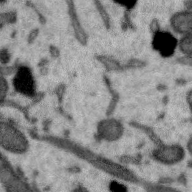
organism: Zebra finch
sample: Brain